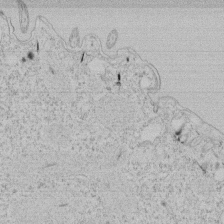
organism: Tetrahymena